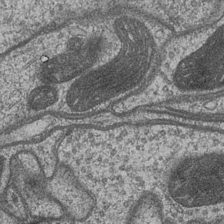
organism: Drosophila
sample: Optic medulla